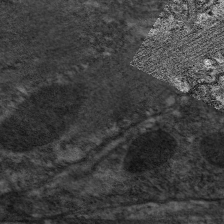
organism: C. elegans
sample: Pharynx